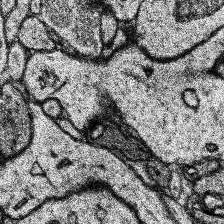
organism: Human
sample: Temporal Lobe